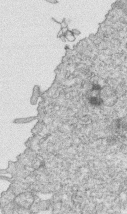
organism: Human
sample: HeLa cell HIV synapse